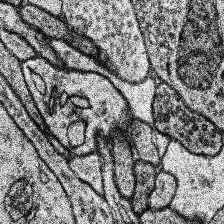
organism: Human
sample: Temporal Lobe